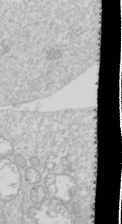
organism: Drosophila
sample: Cell division; meiosis; drosophila spermatocytes